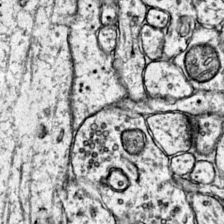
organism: Mouse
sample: Primary visual cortex